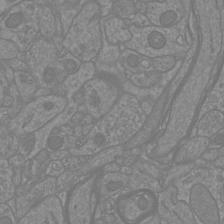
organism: Mouse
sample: Cortical neurons